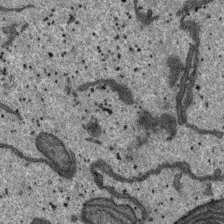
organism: Human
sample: Lung epithelial cells, uninfected (mock) control